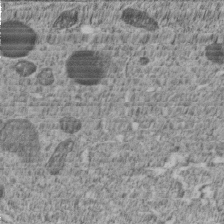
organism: C. elegans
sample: C. elegans embryo early stage